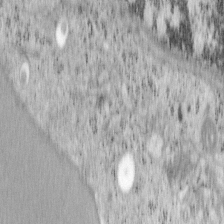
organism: Human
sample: HeLa cells